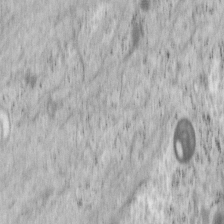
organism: Human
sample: HeLa cells